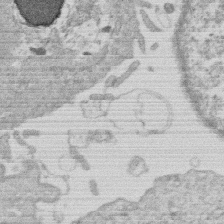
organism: Human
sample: Macrophage cells